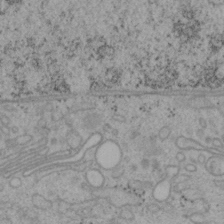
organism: Human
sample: HeLa cells